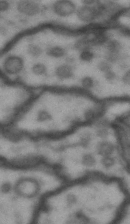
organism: Drosophila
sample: Brain